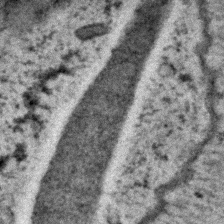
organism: C. elegans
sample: C. elegans embryo